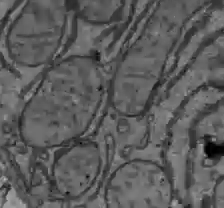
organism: C57BL Mouse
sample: Liver